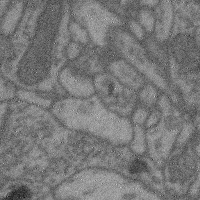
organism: Mouse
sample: Cerebral cortex